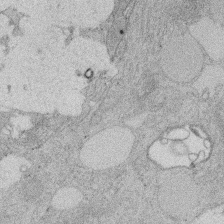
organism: Rat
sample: Salivary granule